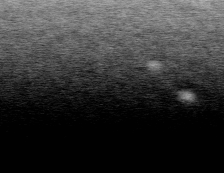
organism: Human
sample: HeLa cells